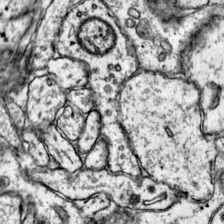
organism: Mouse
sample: Primary visual cortex